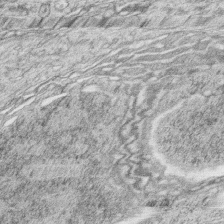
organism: Zebrafish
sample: synaptic ribbons in rod cells and cone cells